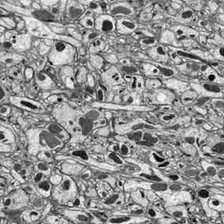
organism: Drosophila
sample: Optic lobe